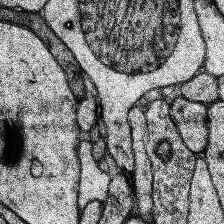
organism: Human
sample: Temporal Lobe